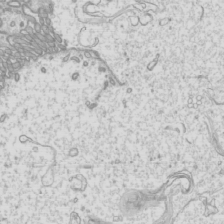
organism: Mouse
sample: Cilia; mouse epididymis